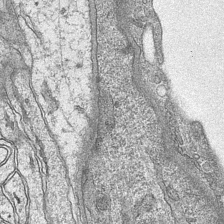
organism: Mouse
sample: CA1 Hippocampus